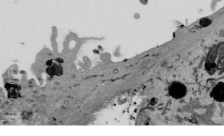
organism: Mouse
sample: ED-1 cell nuclei; centrioles